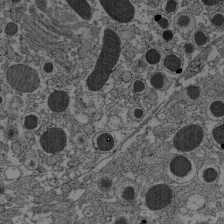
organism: C57BL Mouse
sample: Pancreatic islet